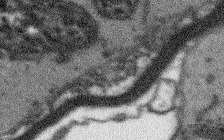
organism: Arabidopsis thaliana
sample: Root tip